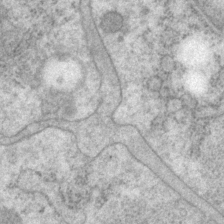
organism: P. pacificus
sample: Pharynx